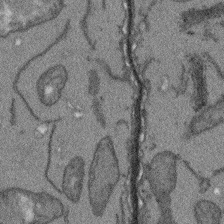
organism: Arabidopsis thaliana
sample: Root tip